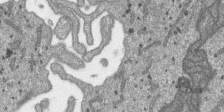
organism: Human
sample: Lung epithelial cells infected with SARS-CoV-2